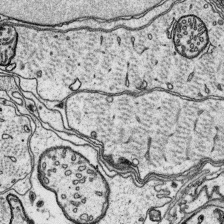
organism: Platynereis dumerilii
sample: Parapodia